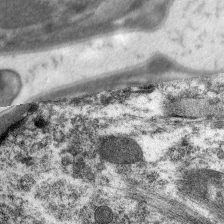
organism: C. elegans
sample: Pharynx